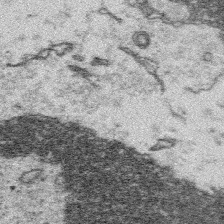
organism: Platynereis dumerilii